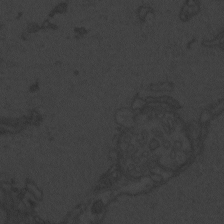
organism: Zebrafish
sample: Macrophage infected with Toxoplasma gondii